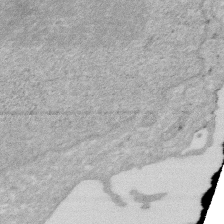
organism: Human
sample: HIV infected U937 cells